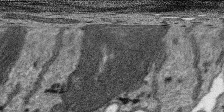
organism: Human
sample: Lung epithelial cells infected with SARS-CoV-2